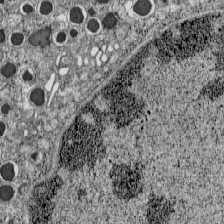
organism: C57BL Mouse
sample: Pancreatic islet